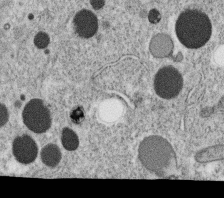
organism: C. elegans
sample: C. elegans oocyte; sperm cells